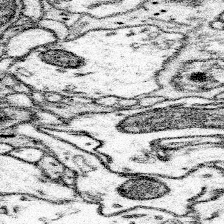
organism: Mouse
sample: Somatosensory cortex neuropil